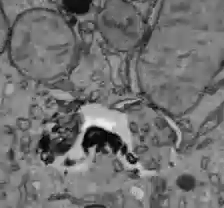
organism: C57BL Mouse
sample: Liver